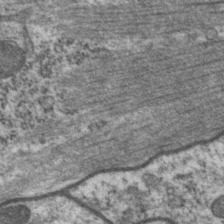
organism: P. pacificus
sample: Pharynx